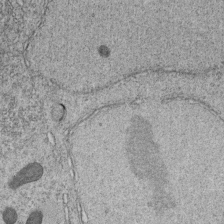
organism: C. elegans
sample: C. elegans embryo early stage